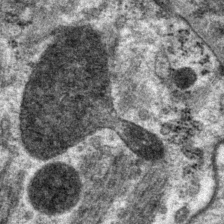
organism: P. pacificus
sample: Pharynx